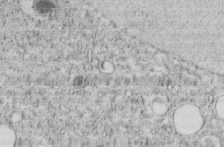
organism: C. elegans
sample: C. elegans embryo early stage